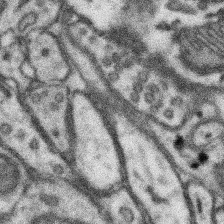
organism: Mouse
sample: Somatosensory cortex neuropil